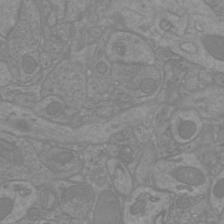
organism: Mouse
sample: Cortical neurons